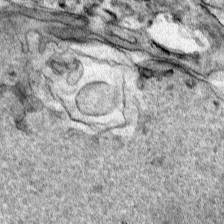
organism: Human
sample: Mitochondria in HCT116 cells